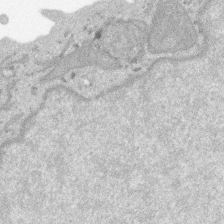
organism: Human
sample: Lung epithelial cells infected with SARS-CoV-2